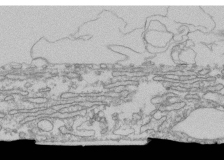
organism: Human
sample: Fibroblast cells